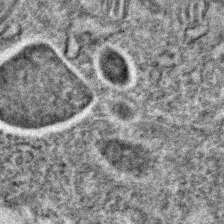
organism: C. elegans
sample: C. elegans embryo